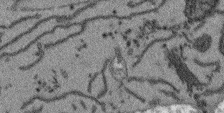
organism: Arabidopsis thaliana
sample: Root tip